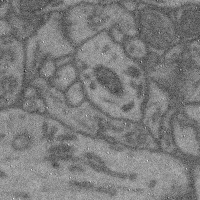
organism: Mouse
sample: Cerebral cortex